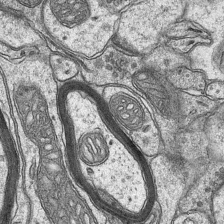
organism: Mouse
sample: CA1 Hippocampus